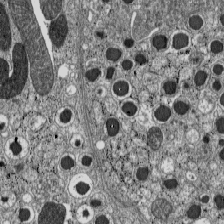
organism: C57BL Mouse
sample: Pancreatic islet